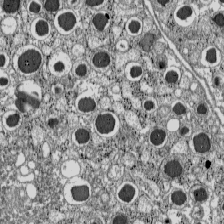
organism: C57BL Mouse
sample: Pancreatic islet